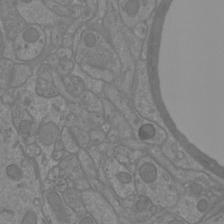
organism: Mouse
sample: Cortical neurons